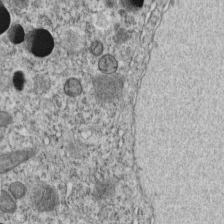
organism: C. elegans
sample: C. elegans embryo early stage